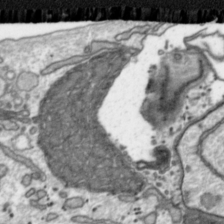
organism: Toxoplasma gondii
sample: Parasites in a vacuole inside a host cell